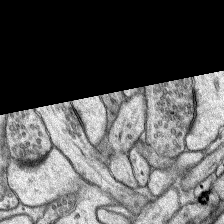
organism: Rat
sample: Hippocampus